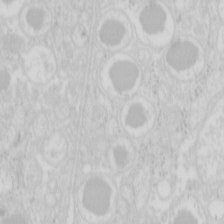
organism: Mouse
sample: Pancreas